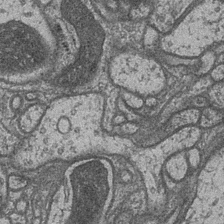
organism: Drosophila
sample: Optic medulla